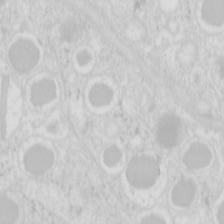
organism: Mouse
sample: Pancreas